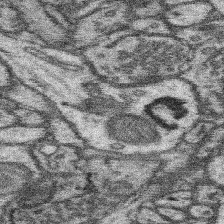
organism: Mouse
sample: Somatosensory cortex neuropil